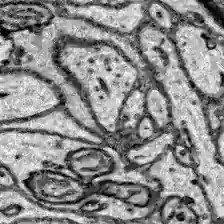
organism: Zebrafish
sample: Brain